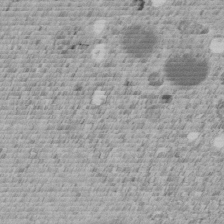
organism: C. elegans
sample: C. elegans embryo early stage